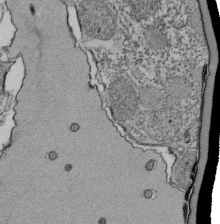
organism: Tetrahymena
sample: Cilia in tetrahymena